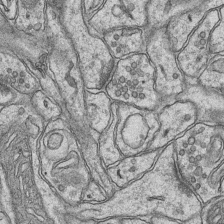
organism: Mouse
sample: CA1 Hippocampus